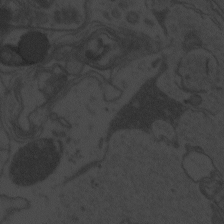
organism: Zebrafish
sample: Macrophage infected with Toxoplasma gondii